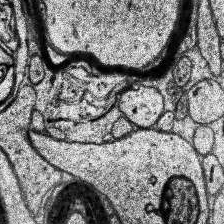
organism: Human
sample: Temporal Lobe